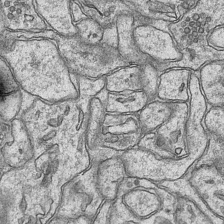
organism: Mouse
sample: CA1 Hippocampus